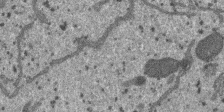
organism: Human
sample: Lung epithelial cells infected with SARS-CoV-2